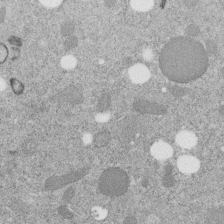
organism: C. elegans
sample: C. elegans embryo early stage